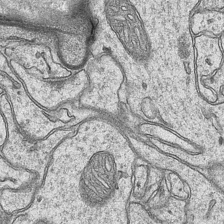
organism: Mouse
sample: CA1 Hippocampus